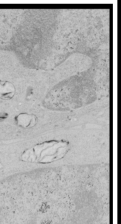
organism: Human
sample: Mitochondria in HCT116 cells